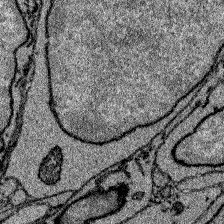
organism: Zebrafish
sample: Larval olfactory bulb